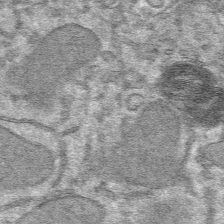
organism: Mouse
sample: Mouse hepatocytes